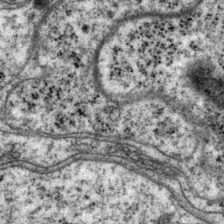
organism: P. pacificus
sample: Pharynx